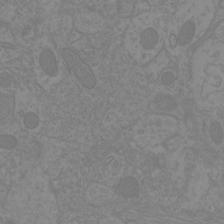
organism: Mouse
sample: Cortical neurons